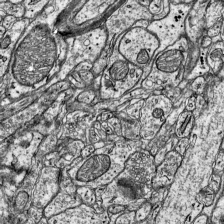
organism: Mouse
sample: Visual Cortex